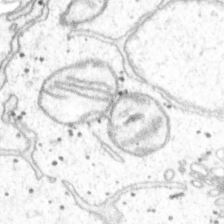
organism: Human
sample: HeLa cells